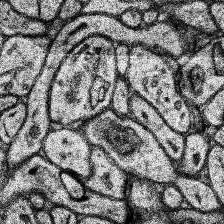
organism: Human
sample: Temporal Lobe